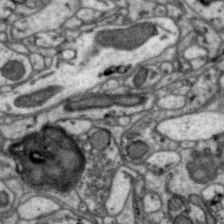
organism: Zebra finch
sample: Brain